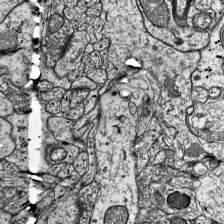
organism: Mouse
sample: Visual Cortex